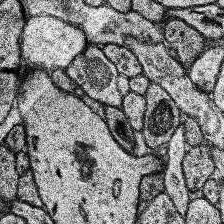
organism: Human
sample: Temporal Lobe